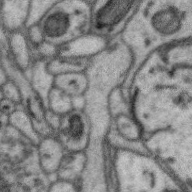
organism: Zebra finch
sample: Brain